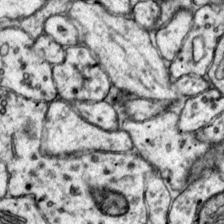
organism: Mouse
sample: Primary visual cortex